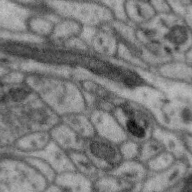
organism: Zebra finch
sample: Brain